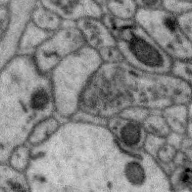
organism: Zebra finch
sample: Brain